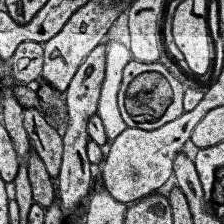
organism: Human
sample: Temporal Lobe